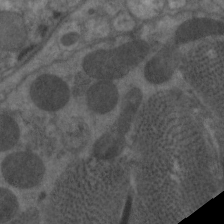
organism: C. elegans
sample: Pharynx